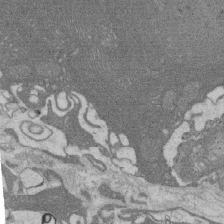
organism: Rat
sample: Salivary granule